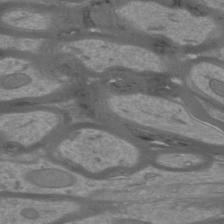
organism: Mouse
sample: Cortical neurons